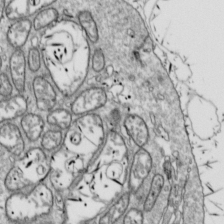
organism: Drosophila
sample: Cell division; meiosis; drosophila spermatocytes